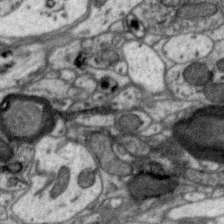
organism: Zebra finch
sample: Brain